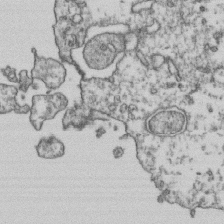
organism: Human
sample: Activated Jurkat CD4+ T cells